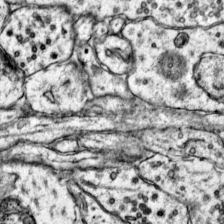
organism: Mouse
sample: Primary visual cortex